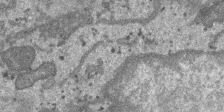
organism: Human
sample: Lung epithelial cells infected with SARS-CoV-2